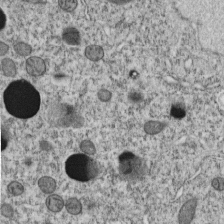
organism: C. elegans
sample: C. elegans embryo early stage